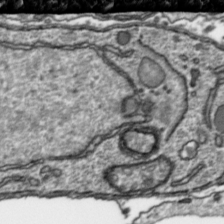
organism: Toxoplasma gondii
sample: Parasites in a vacuole inside a host cell